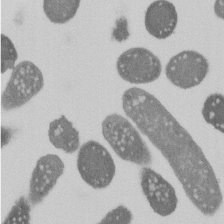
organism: E. coli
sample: Bacterial nucleoid